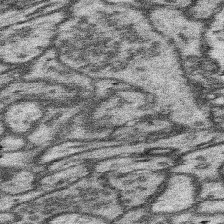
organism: Mouse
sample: Somatosensory cortex neuropil